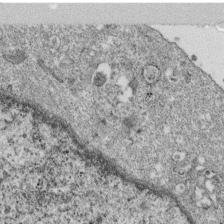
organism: African green monkey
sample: Vero E6 cells infected with SARS-CoV-2